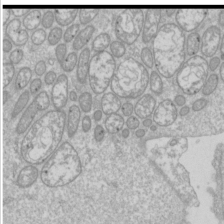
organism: Drosophila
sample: Cell division; meiosis; drosophila spermatocytes